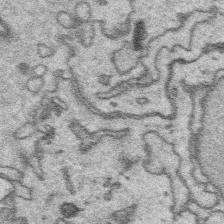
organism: Platynereis dumerilii